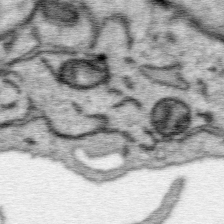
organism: Human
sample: HeLa cells